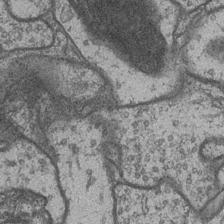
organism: Drosophila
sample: Optic medulla